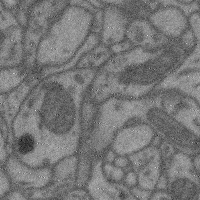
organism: Mouse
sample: Cerebral cortex